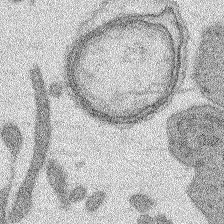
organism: Human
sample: HeLa cells